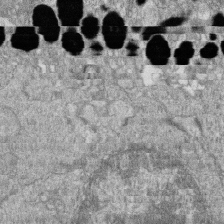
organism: Zebrafish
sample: Cilia; retinal pigment epithelium